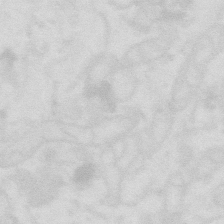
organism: Human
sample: HeLa cells